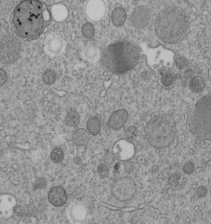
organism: C. elegans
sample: C. elegans embryo early stage